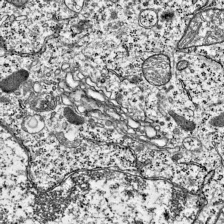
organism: Mouse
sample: Visual Cortex